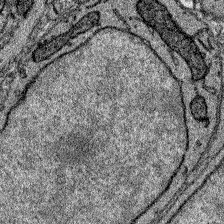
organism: Zebrafish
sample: Larval olfactory bulb